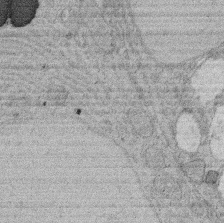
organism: Rat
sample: Salivary granule